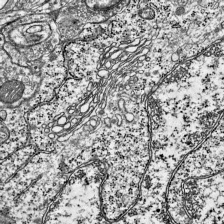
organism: Mouse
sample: Visual Cortex